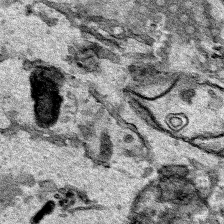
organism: Human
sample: Mitochondria in HCT116 cells